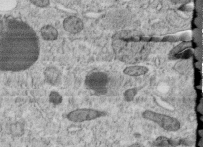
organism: C. elegans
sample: C. elegans embryo early stage